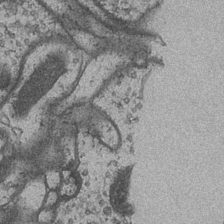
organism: Drosophila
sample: Optic medulla